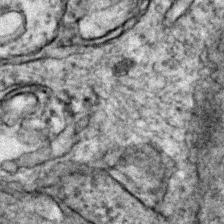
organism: Zebrafish